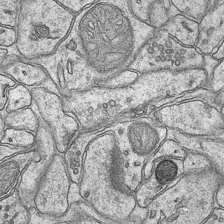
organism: Mouse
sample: CA1 Hippocampus